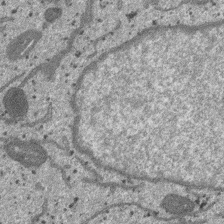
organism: Human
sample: Lung epithelial cells infected with SARS-CoV-2